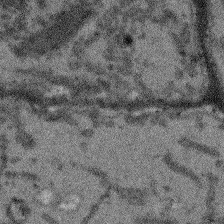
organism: Arabidopsis thaliana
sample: Root tip